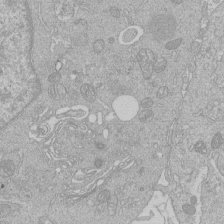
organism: Human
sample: Macrophage cells